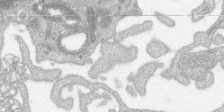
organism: Human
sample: Lung epithelial cells infected with SARS-CoV-2